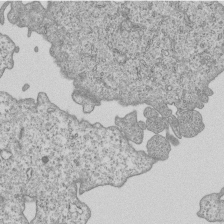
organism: Human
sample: MDA-MB-231 cells